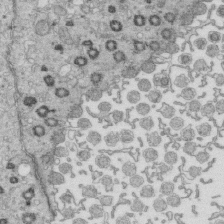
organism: Mouse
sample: Multiciliated cells